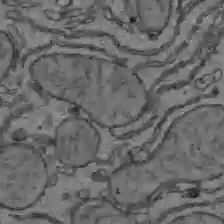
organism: C57BL Mouse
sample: Liver